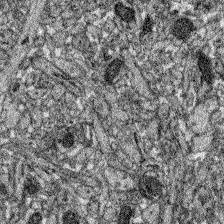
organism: Zebrafish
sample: Larval olfactory bulb